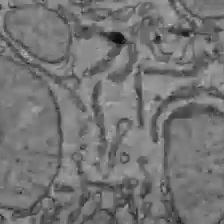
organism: C57BL Mouse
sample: Liver